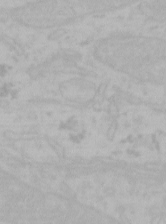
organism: Mouse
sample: Choroid plexus